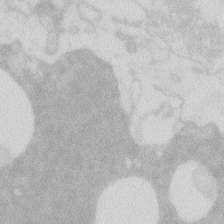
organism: Zebrafish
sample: Macrophage